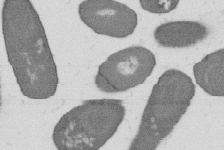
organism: B. subtilis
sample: Bacterial spore